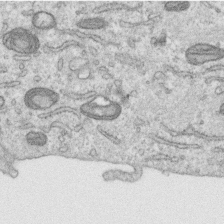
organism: Human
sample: Centriole in RPE cells